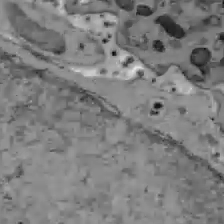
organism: C57BL Mouse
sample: Liver